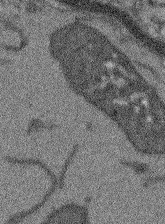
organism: Arabidopsis thaliana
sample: Root tip